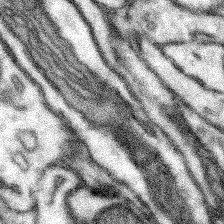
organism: Mouse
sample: Somatosensory cortex neuropil